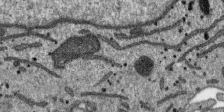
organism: Human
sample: Lung epithelial cells, uninfected (mock) control